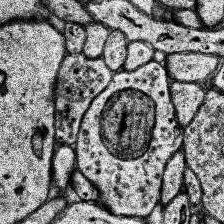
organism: Human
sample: Temporal Lobe